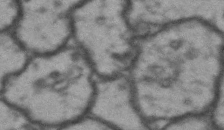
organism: Drosophila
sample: Brain